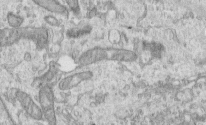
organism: Human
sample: Centriole in RPE cells